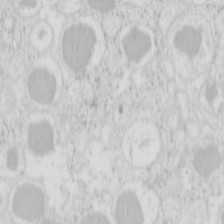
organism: Mouse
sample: Pancreas